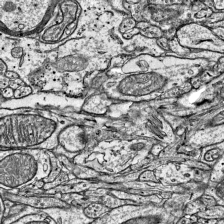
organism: Mouse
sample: Visual Cortex